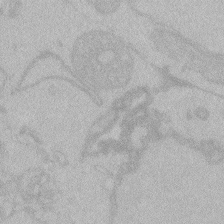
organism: Zebrafish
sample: Macrophage infected with Toxoplasma gondii